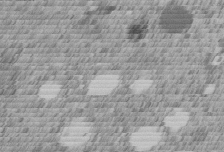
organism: C. elegans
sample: C. elegans embryo early stage